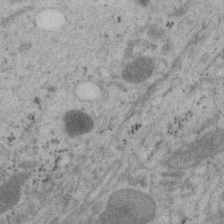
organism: Human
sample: HeLa cells